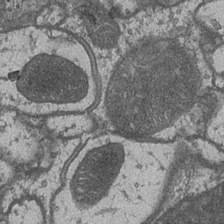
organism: Drosophila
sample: Optic medulla